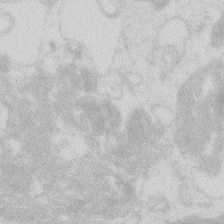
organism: Zebrafish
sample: Macrophage